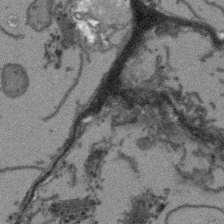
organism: Arabidopsis thaliana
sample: Root tip